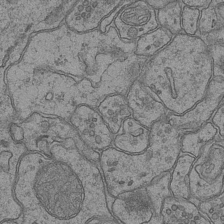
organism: Mouse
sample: CA1 Hippocampus